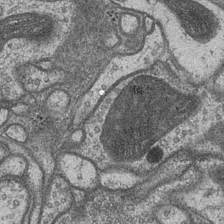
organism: Drosophila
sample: Optic medulla